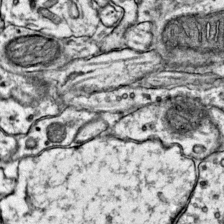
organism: Mouse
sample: Primary visual cortex